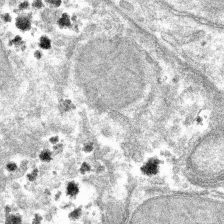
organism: Mouse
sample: Mouse hepatocytes